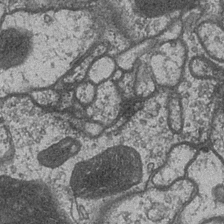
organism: Drosophila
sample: Optic medulla